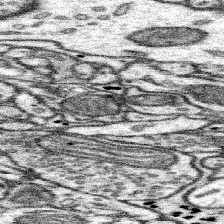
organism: Mouse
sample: Somatosensory cortex neuropil